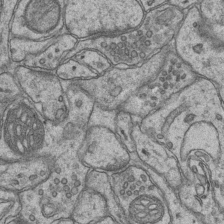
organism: Mouse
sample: CA1 Hippocampus